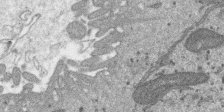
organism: Human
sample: Lung epithelial cells infected with SARS-CoV-2